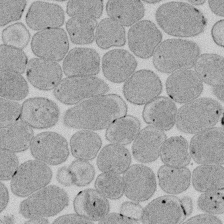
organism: E. coli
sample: Bacterial nucleoid